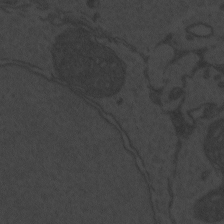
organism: Zebrafish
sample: Macrophage infected with Toxoplasma gondii